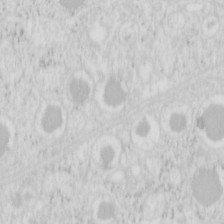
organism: Mouse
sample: Pancreas